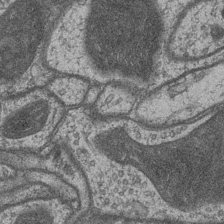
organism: Drosophila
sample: Optic medulla